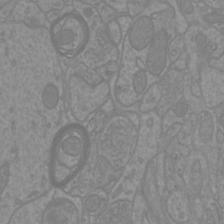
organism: Mouse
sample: Cortical neurons